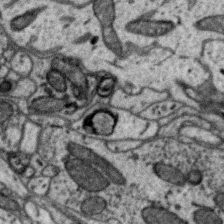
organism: Zebra finch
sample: Brain